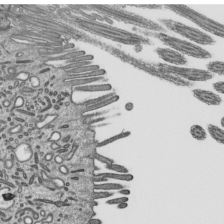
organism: Mouse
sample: Mouse epididymis efferent ductule cilia